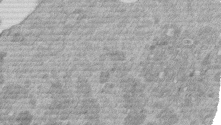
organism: Mouse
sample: Dividing mouse embryo 1 cell stage